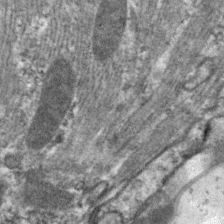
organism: C. elegans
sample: Pharynx